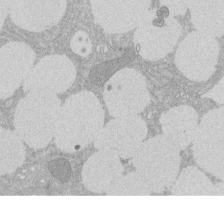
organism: Rat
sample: Salivary granule